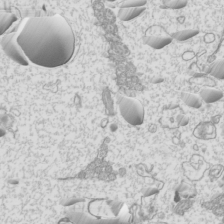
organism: Mouse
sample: Cilia; mouse epididymis